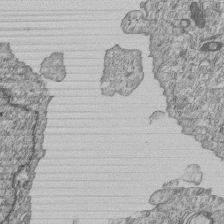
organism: Human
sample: MDA-MB-231 cells